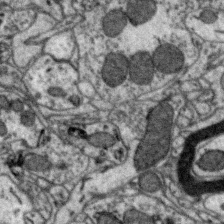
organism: Zebra finch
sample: Brain